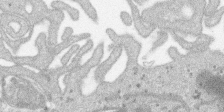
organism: Human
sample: Lung epithelial cells infected with SARS-CoV-2